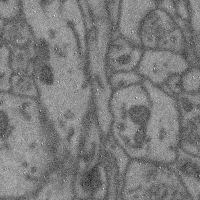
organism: Mouse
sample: Cerebral cortex